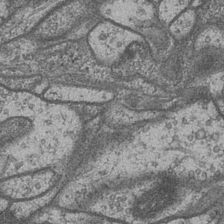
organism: Drosophila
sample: Optic medulla